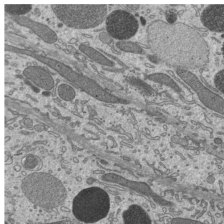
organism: Mouse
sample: Mouse epididymis efferent ductule cilia